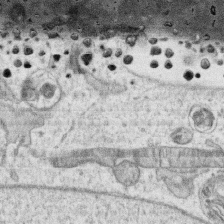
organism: Human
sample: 1205lu cells